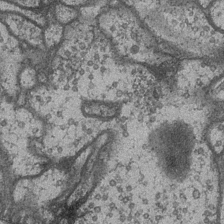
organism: Drosophila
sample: Optic medulla